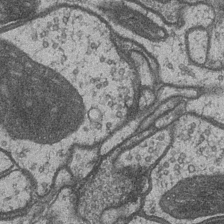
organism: Drosophila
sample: Optic medulla